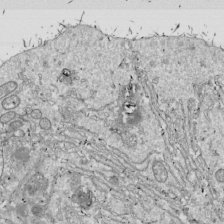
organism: Drosophila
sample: Cell division; meiosis; drosophila spermatocytes